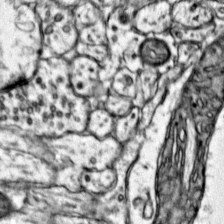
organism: Mouse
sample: Primary visual cortex